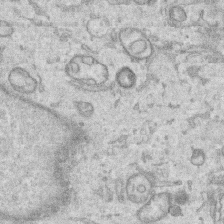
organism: Human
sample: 1205lu cells